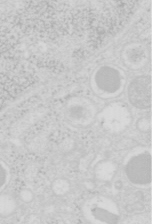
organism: Mouse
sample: Pancreas